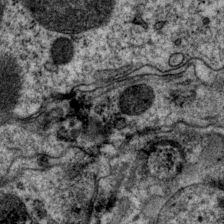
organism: P. pacificus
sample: Pharynx